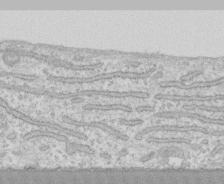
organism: Human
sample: CRL-1474